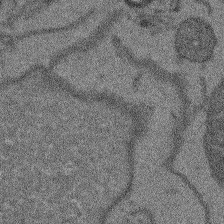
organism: Arabidopsis thaliana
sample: Root tip